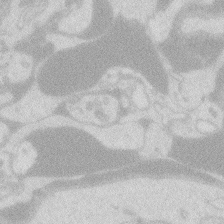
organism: Zebrafish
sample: Macrophage